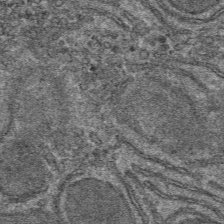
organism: Mouse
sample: Mouse hepatocytes